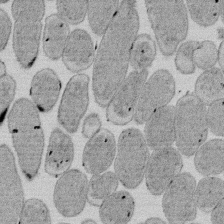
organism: E. coli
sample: Bacterial nucleoid